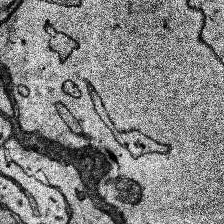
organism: Human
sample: Temporal Lobe